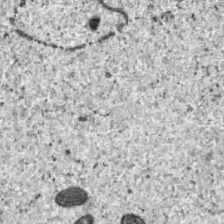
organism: Human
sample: HeLa cells